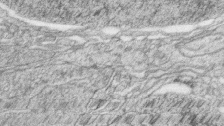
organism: Zebrafish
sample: synaptic ribbons in rod cells and cone cells